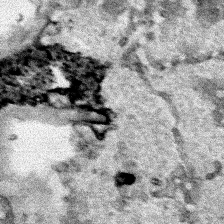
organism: Human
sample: Mitochondria in HCT116 cells